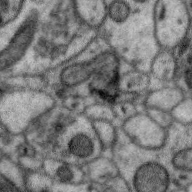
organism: Zebra finch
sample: Brain